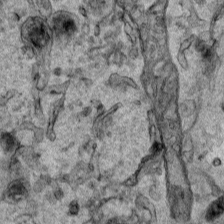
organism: Human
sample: Mitochondria in HCT116 cells